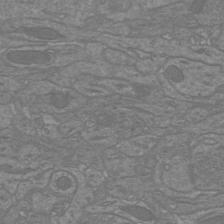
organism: Mouse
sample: Cortical neurons